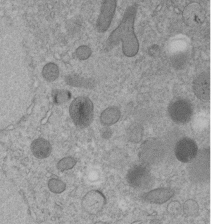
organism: C. elegans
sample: C. elegans embryo early stage